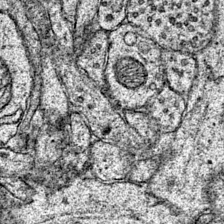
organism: Mouse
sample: Primary visual cortex